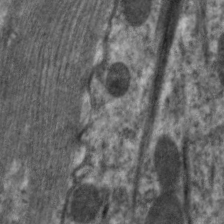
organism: C. elegans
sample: Pharynx